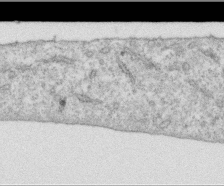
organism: Human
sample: Centriole in RPE cells